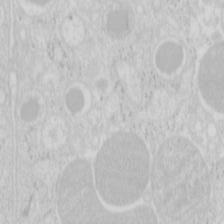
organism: Mouse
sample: Pancreas